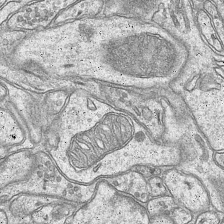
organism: Mouse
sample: CA1 Hippocampus